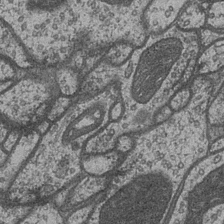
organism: Drosophila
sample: Optic medulla